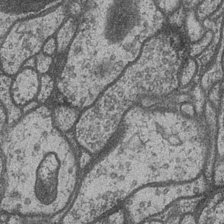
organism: Drosophila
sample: Optic medulla